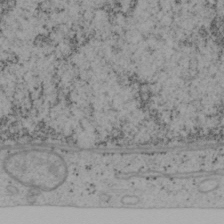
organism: Human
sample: HeLa cells